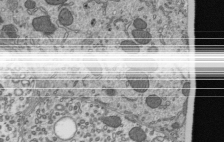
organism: Mouse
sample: Mouse epididymis efferent ductule cilia